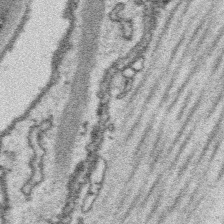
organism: Platynereis dumerilii